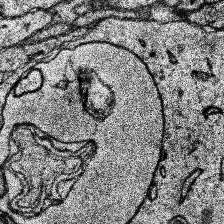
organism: Human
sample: Temporal Lobe